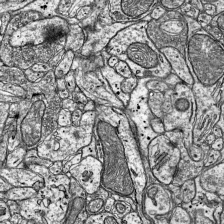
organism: Mouse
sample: Visual Cortex